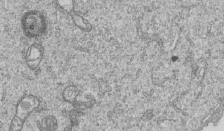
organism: Human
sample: MDA-MB-231 cells